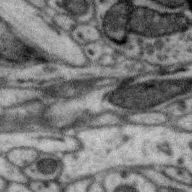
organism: Zebra finch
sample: Brain